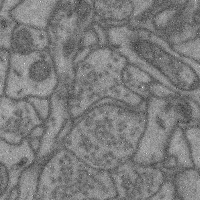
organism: Mouse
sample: Cerebral cortex